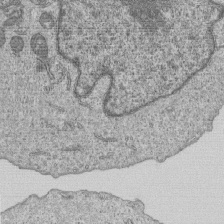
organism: Human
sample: MDA-MB-231 cells